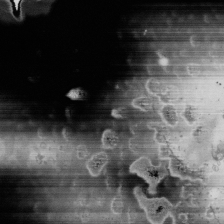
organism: Mouse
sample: ED-1 cell nuclei; centrioles